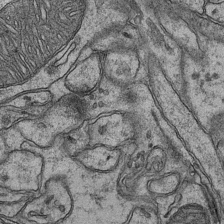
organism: Mouse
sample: CA1 Hippocampus